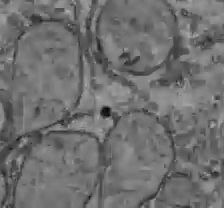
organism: C57BL Mouse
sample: Liver